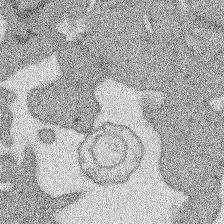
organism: Human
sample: HeLa cells